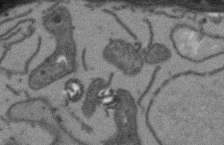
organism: Arabidopsis thaliana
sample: Root tip